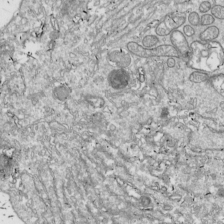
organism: Drosophila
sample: Cell division; meiosis; drosophila spermatocytes